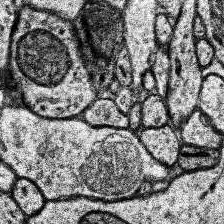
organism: Human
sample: Temporal Lobe